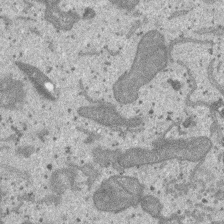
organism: Human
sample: Lung epithelial cells infected with SARS-CoV-2